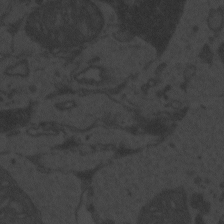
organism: Zebrafish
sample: Macrophage infected with Toxoplasma gondii